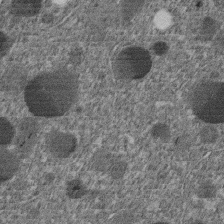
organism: C. elegans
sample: C. elegans embryo early stage